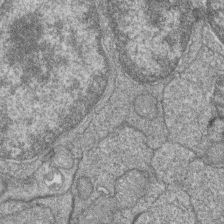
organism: Zebrafish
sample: Cilia; retinal pigment epithelium